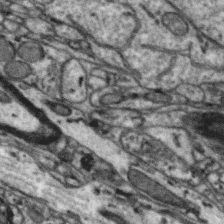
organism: Zebra finch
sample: Brain